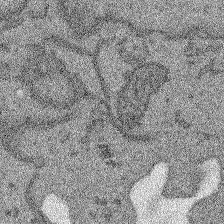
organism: Human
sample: HeLa cells